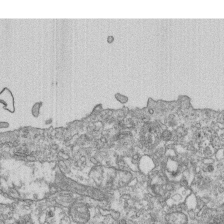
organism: Human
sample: HeLa cell HIV synapse